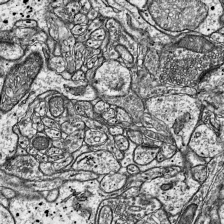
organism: Mouse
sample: Visual Cortex